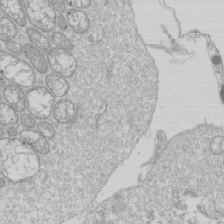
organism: Drosophila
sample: Cell division; meiosis; drosophila spermatocytes